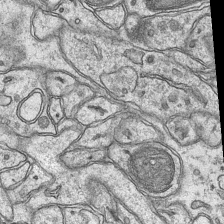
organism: Mouse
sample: CA1 Hippocampus